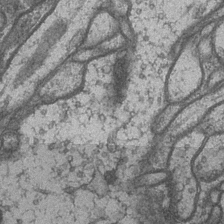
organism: Drosophila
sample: Optic medulla